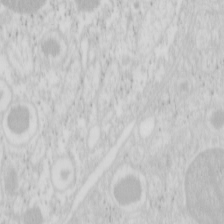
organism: Mouse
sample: Pancreas